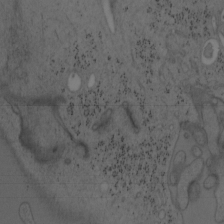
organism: Mouse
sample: OT-I killer T cells with ID8 ovarian cancer cells